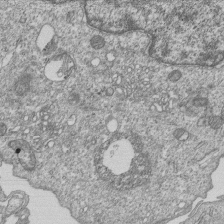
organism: Human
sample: MDA-MB-231 cells